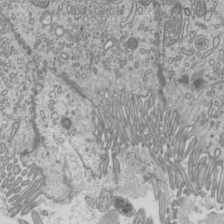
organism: Mouse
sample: Cilia; mouse epididymis